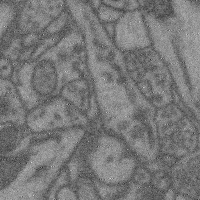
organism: Mouse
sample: Cerebral cortex